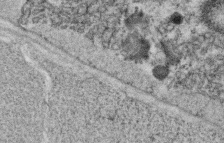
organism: C. elegans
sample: C. elegans oocyte; sperm cells